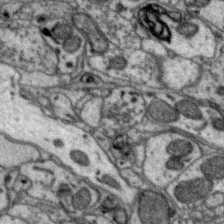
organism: Zebra finch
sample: Brain